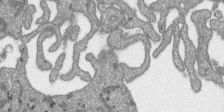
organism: Human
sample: Lung epithelial cells infected with SARS-CoV-2